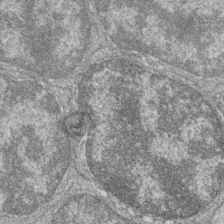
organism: Zebrafish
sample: Cilia; retinal pigment epithelium